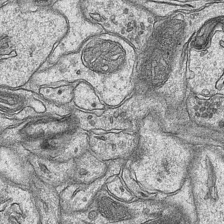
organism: Mouse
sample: CA1 Hippocampus